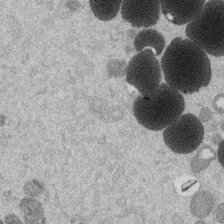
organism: Mouse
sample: Dividing mouse embryo 1 cell stage